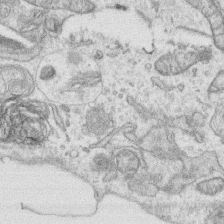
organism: Human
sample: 1205lu cells